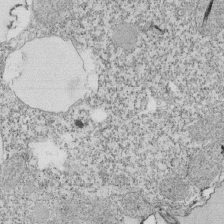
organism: Tetrahymena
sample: Cilia in tetrahymena